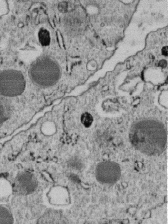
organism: C. elegans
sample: C. elegans embryo early stage